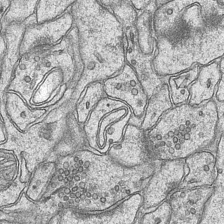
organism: Mouse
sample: CA1 Hippocampus